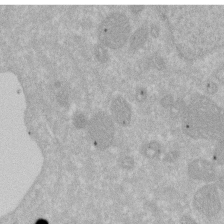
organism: Human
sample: HIV infected U937 cells